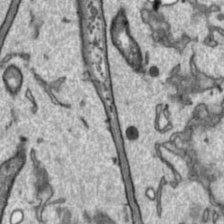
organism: Toxoplasma gondii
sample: Parasites in a vacuole inside a host cell